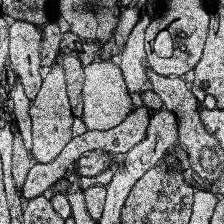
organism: Human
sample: Temporal Lobe